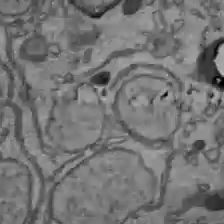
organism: C57BL Mouse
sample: Liver